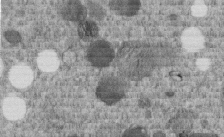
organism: C. elegans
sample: C. elegans embryo early stage